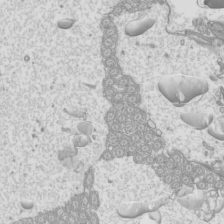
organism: Mouse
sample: Cilia; mouse epididymis